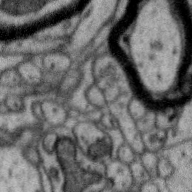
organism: Zebra finch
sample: Brain